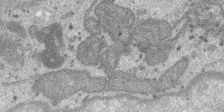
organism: Human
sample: Lung epithelial cells infected with SARS-CoV-2